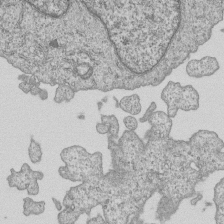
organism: Human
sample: MDA-MB-231 cells